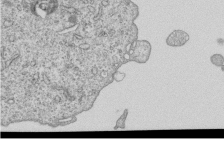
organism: Human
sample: MDA-MB-231 cells